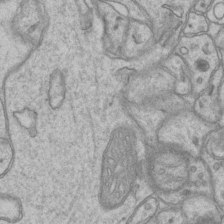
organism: Mouse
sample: CA1 Hippocampus